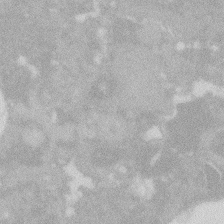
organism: Zebrafish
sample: Macrophage